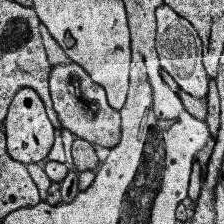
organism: Human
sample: Temporal Lobe